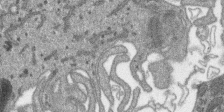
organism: Human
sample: Lung epithelial cells infected with SARS-CoV-2